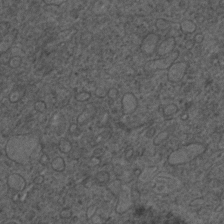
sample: Trachea